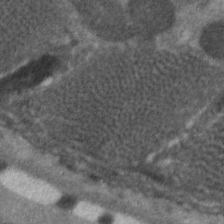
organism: C. elegans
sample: Pharynx